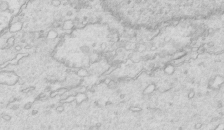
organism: Mouse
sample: Multiciliated cells